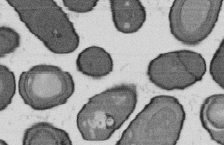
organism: B. subtilis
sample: Bacterial spore